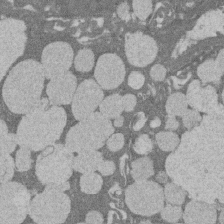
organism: Rat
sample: Salivary granule